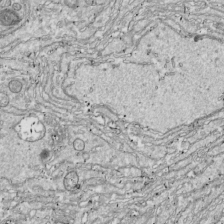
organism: Drosophila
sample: Cell division; meiosis; drosophila spermatocytes